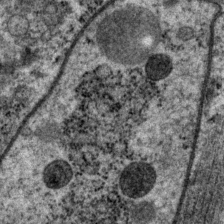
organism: P. pacificus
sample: Pharynx